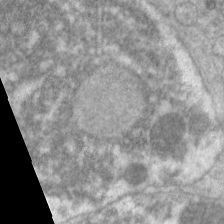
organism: C. elegans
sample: Pharynx